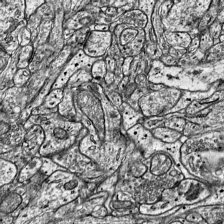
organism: Mouse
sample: Visual Cortex